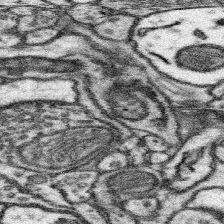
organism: Mouse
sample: Somatosensory cortex neuropil